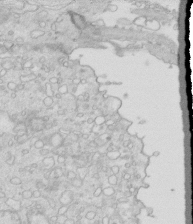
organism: Mouse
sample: Multiciliated cells